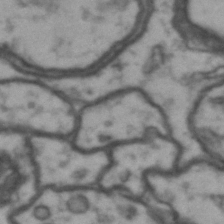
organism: Drosophila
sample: Brain